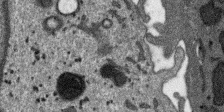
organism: Human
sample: Lung epithelial cells infected with SARS-CoV-2